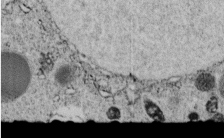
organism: C. elegans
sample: C. elegans embryo early stage